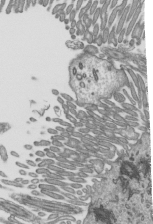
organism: Mouse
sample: Mouse epididymis efferent ductule cilia